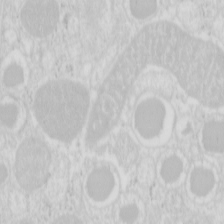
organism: Mouse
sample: Pancreas